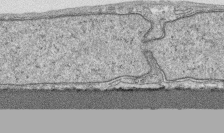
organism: Human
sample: CRL-1474